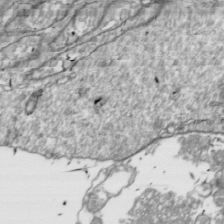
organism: Drosophila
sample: Cell division; meiosis; drosophila spermatocytes